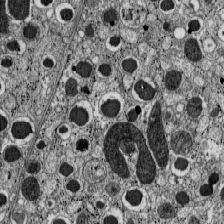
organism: C57BL Mouse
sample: Pancreatic islet